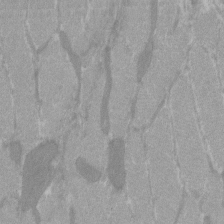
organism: C57BL Mouse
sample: Tibialis anterior muscle cell